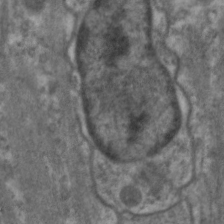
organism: C. elegans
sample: Pharynx